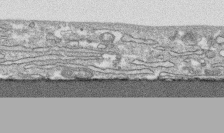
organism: Human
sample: CRL-1474